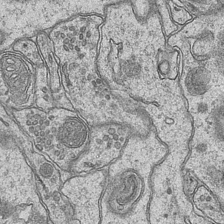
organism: Mouse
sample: CA1 Hippocampus